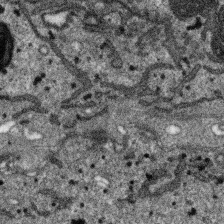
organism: Human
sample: Lung epithelial cells infected with SARS-CoV-2